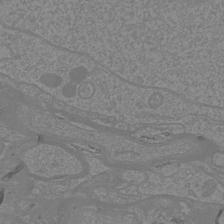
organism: Mouse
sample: Cortical neurons